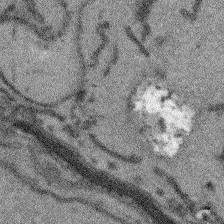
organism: Arabidopsis thaliana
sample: Root tip